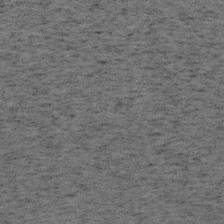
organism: Mouse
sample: OT-I killer T cells with ID8 ovarian cancer cells